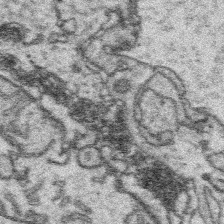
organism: Platynereis dumerilii